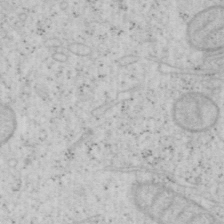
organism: Human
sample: HeLa cells